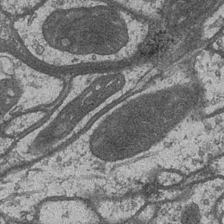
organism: Drosophila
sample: Optic medulla